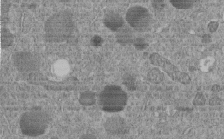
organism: C. elegans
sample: C. elegans embryo early stage